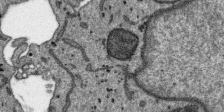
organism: Human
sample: Lung epithelial cells, uninfected (mock) control